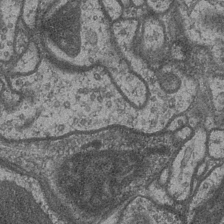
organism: Drosophila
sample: Optic medulla